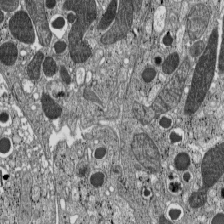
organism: C57BL Mouse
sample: Pancreatic islet